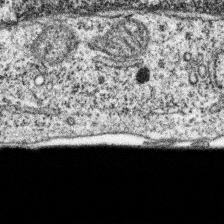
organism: Human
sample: HeLa cells